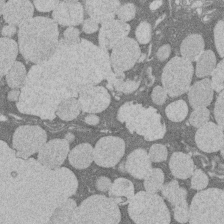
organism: Rat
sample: Salivary granule